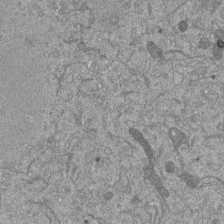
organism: Mouse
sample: ED-1 cell nuclei; centrioles